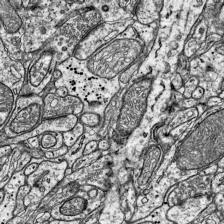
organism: Mouse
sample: Visual Cortex